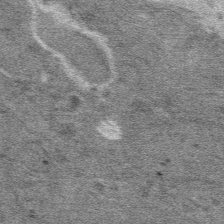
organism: Mouse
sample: Mouse hepatocytes